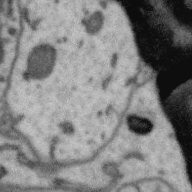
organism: Zebra finch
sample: Brain